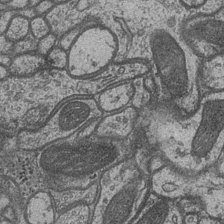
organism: Drosophila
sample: Optic medulla